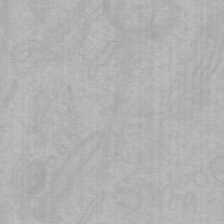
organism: Mouse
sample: Choroid plexus